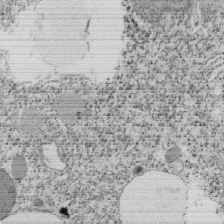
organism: Tetrahymena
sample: Cilia in tetrahymena